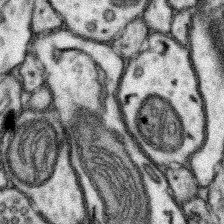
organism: Mouse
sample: Somatosensory cortex neuropil